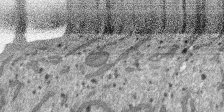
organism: Human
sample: Lung epithelial cells infected with SARS-CoV-2